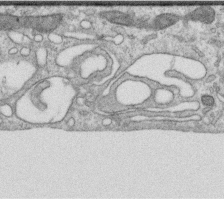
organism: Human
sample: Centriole in RPE cells